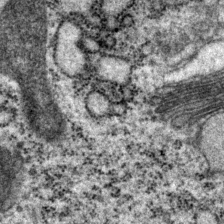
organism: P. pacificus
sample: Pharynx